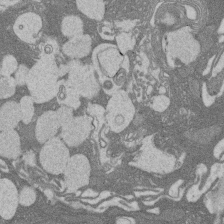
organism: Rat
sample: Salivary granule